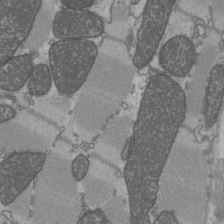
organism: C57BL Mouse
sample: Heart